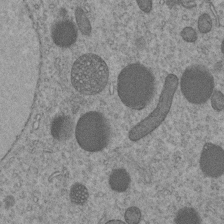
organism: C. elegans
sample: C. elegans embryo early stage